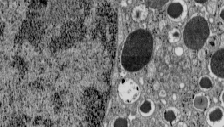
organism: C57BL Mouse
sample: Pancreatic islet